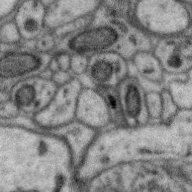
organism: Zebra finch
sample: Brain